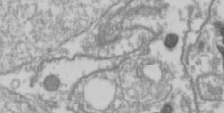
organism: Drosophila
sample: Cell division; meiosis; drosophila spermatocytes